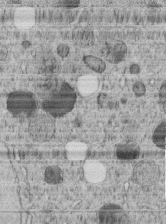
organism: C. elegans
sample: C. elegans embryo early stage